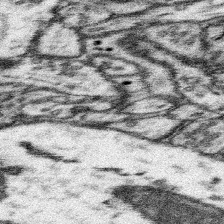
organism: Mouse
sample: Somatosensory cortex neuropil